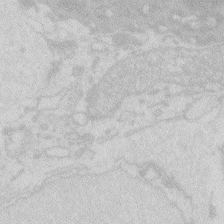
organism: Zebrafish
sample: Macrophage